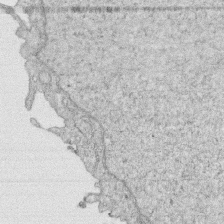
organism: Human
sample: HeLa cell HIV synapse